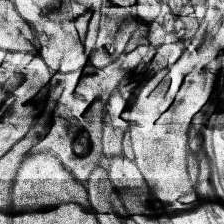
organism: Human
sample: Temporal Lobe